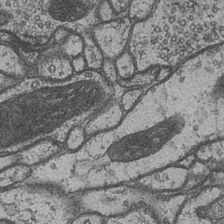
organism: Drosophila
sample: Optic medulla